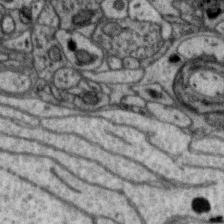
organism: Zebra finch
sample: Brain